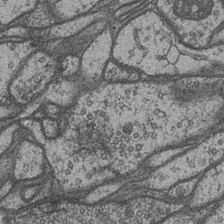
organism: Drosophila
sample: Optic medulla